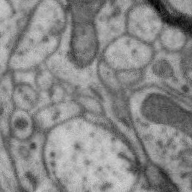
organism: Zebra finch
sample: Brain